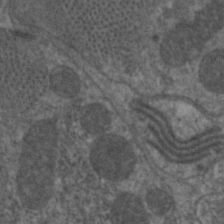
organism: C. elegans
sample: Pharynx